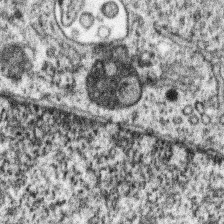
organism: Human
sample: HeLa cells